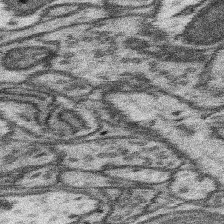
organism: Mouse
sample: Somatosensory cortex neuropil